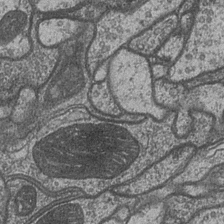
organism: Drosophila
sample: Optic medulla